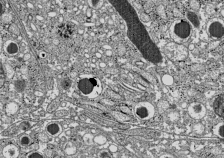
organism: C57BL Mouse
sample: Pancreatic islet